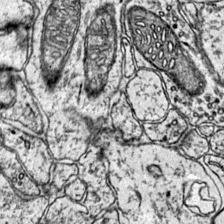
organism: Mouse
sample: Primary visual cortex